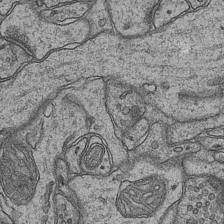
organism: Mouse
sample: CA1 Hippocampus